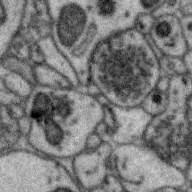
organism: Zebra finch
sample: Brain